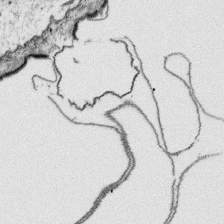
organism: Platynereis dumerilii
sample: Parapodia